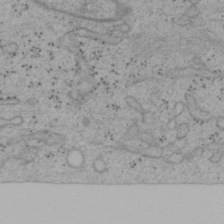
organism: Human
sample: HeLa cells